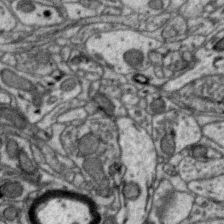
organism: Zebra finch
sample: Brain